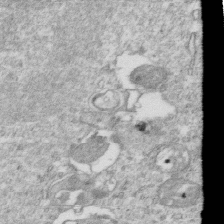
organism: Mouse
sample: Activated OT-1 CD8+ T cells